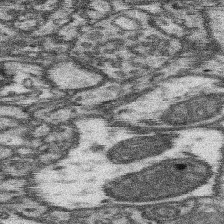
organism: Mouse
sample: Somatosensory cortex neuropil